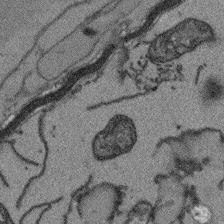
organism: Arabidopsis thaliana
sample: Root tip